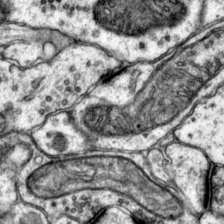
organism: Mouse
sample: Primary visual cortex